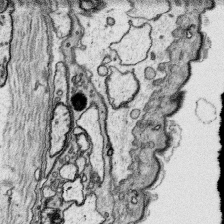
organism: Platynereis dumerilii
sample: Parapodia